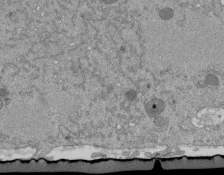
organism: Mouse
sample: ED-1 cell nuclei; centrioles